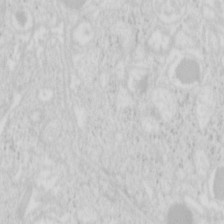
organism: Mouse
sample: Pancreas